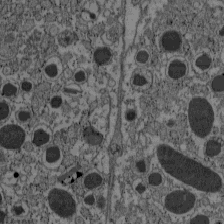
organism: C57BL Mouse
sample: Pancreatic islet